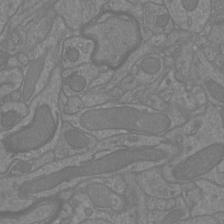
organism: Mouse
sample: Cortical neurons